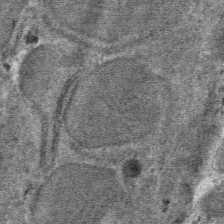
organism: Mouse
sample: Mouse hepatocytes